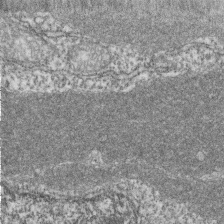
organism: Zebrafish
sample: Cilia; retinal pigment epithelium